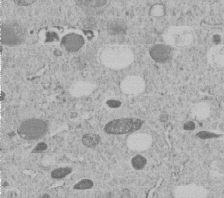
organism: C. elegans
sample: C. elegans embryo early stage